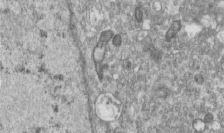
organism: Human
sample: Centriole in RPE cells